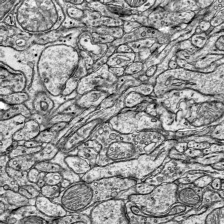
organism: Mouse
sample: Visual Cortex